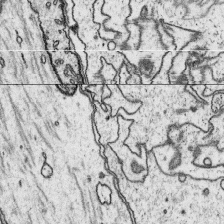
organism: Platynereis dumerilii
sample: Parapodia